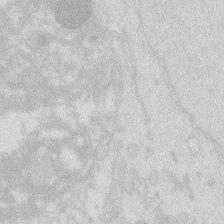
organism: Zebrafish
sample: Macrophage